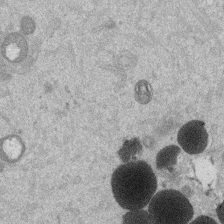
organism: Mouse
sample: Dividing mouse embryo 1 cell stage